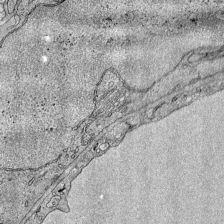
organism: Mouse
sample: Visual Cortex